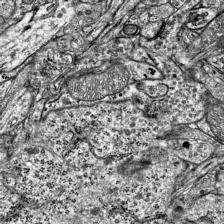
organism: Mouse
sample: Visual Cortex